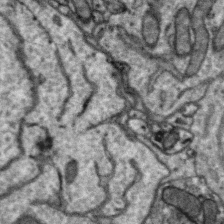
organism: Zebra finch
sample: Brain